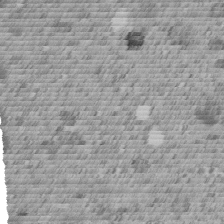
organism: C. elegans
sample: C. elegans embryo early stage